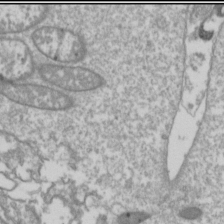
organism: Drosophila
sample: Cell division; meiosis; drosophila spermatocytes